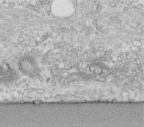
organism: Human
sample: Centriole in fibroblast cells